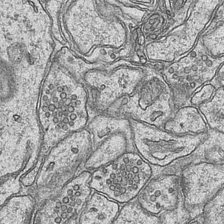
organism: Mouse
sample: CA1 Hippocampus